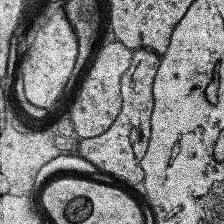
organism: Human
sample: Temporal Lobe